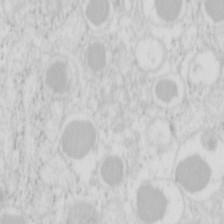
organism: Mouse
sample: Pancreas